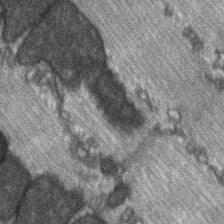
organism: C57BL Mouse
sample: Soleus